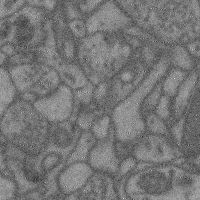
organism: Mouse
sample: Cerebral cortex